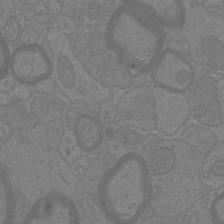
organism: Mouse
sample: Cortical neurons